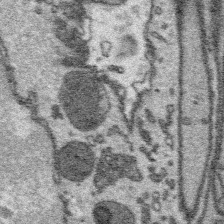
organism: Platynereis dumerilii